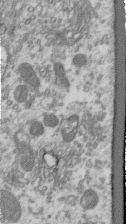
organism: Human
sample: Centriole in RPE cells